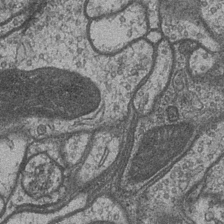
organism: Drosophila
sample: Optic medulla